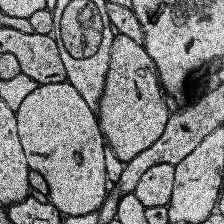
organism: Human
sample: Temporal Lobe